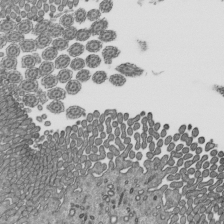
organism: Mouse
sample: Mouse epididymis efferent ductule cilia